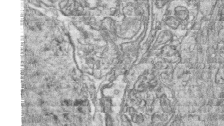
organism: Zebrafish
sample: synaptic ribbons in rod cells and cone cells